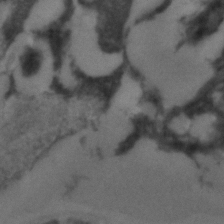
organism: C. elegans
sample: C. elegans embryo